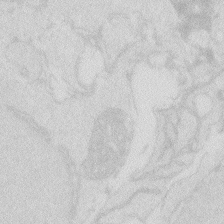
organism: Zebrafish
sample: Macrophage